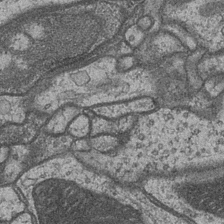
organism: Drosophila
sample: Optic medulla